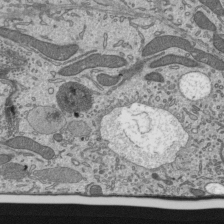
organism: Mouse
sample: Mouse epididymis efferent ductule cilia